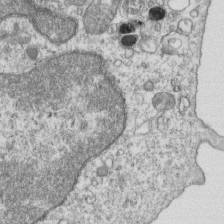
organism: Mouse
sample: Activated OT-1 CD8+ T cells